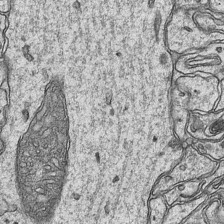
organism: Mouse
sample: CA1 Hippocampus